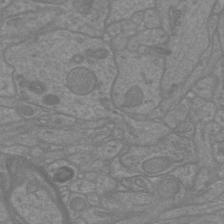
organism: Mouse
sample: Cortical neurons